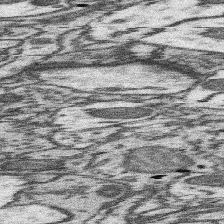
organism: Mouse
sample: Somatosensory cortex neuropil